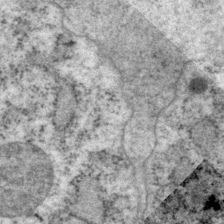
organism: P. pacificus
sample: Pharynx